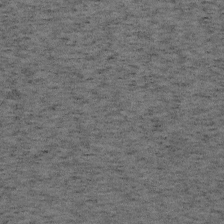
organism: Mouse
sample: OT-I killer T cells with ID8 ovarian cancer cells